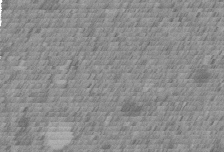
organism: C. elegans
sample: C. elegans embryo early stage